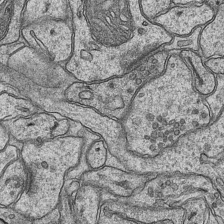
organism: Mouse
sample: CA1 Hippocampus